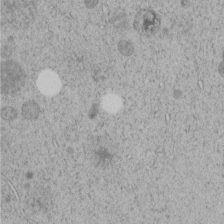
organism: C. elegans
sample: C. elegans embryo early stage